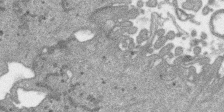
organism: Human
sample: Lung epithelial cells infected with SARS-CoV-2